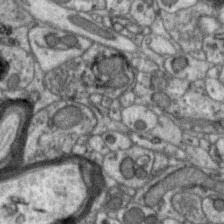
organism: Zebra finch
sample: Brain